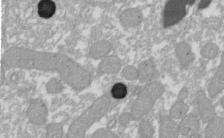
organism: Xenopus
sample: Cilia; centrioles in frog embryo cells